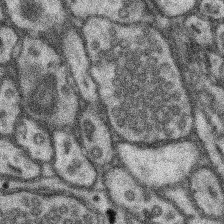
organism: Mouse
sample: Somatosensory cortex neuropil